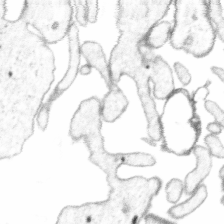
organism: Human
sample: HeLa cells